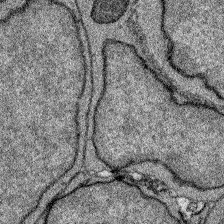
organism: Zebrafish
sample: Larval olfactory bulb